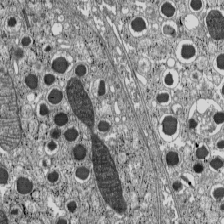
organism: C57BL Mouse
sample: Pancreatic islet